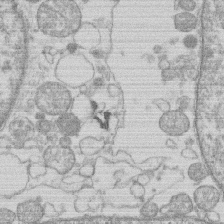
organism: Human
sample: Macrophage cells